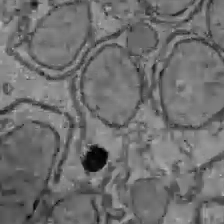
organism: C57BL Mouse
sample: Liver